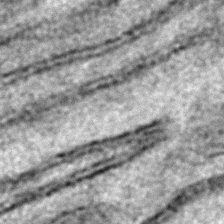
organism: C. elegans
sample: C. elegans embryo